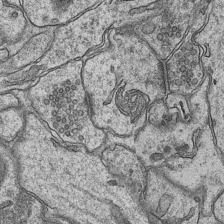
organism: Mouse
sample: CA1 Hippocampus